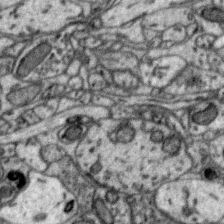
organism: Zebra finch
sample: Brain